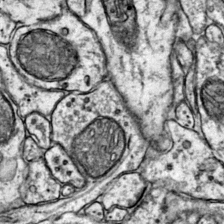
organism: Mouse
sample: Primary visual cortex